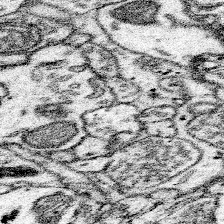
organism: Mouse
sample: Somatosensory cortex neuropil